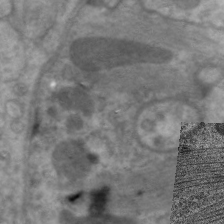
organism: C. elegans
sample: Pharynx